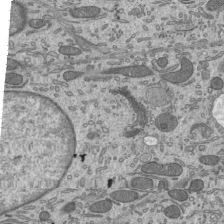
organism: Mouse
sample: Mouse epididymis efferent ductule cilia